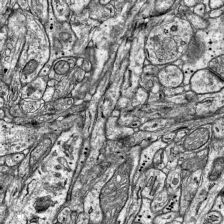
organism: Mouse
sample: Visual Cortex